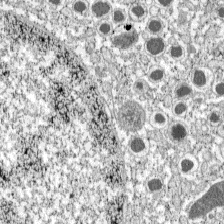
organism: C57BL Mouse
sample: Pancreatic islet